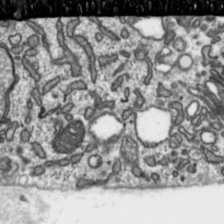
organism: Toxoplasma gondii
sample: Parasites in a vacuole inside a host cell